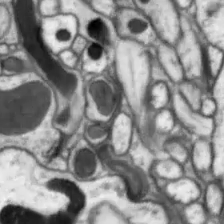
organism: Drosophila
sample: Optic lobe